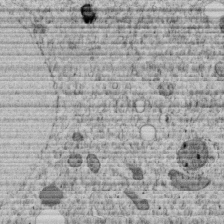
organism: C. elegans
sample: C. elegans embryo early stage